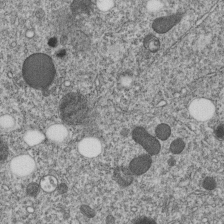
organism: C. elegans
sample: C. elegans embryo early stage